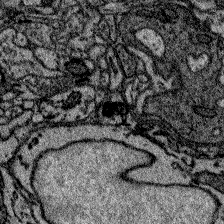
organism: Zebrafish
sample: Larval olfactory bulb